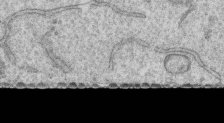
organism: Human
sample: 1205lu cells